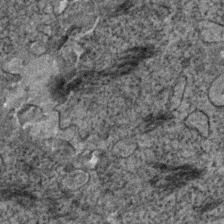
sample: Trachea